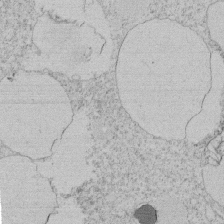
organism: Tetrahymena